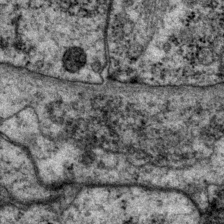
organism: P. pacificus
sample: Pharynx